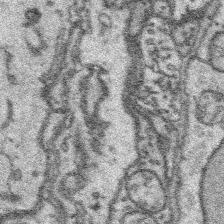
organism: Platynereis dumerilii